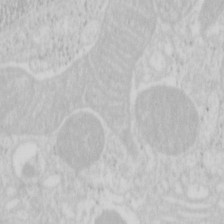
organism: Mouse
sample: Pancreas